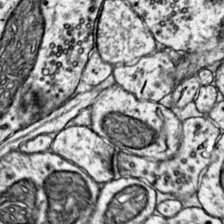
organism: Mouse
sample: Primary visual cortex